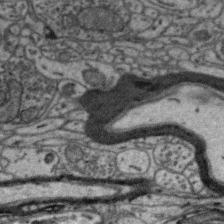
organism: Zebra finch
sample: Brain